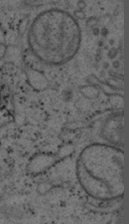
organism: Human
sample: HeLa cells